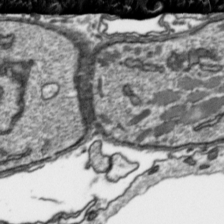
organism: Toxoplasma gondii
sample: Parasites in a vacuole inside a host cell